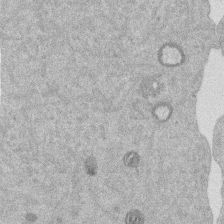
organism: Mouse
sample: Dividing mouse embryo 1 cell stage